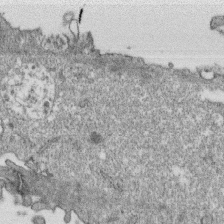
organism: African green monkey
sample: Vero E6 cells infected with SARS-CoV-2